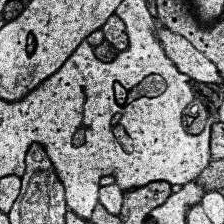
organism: Human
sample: Temporal Lobe